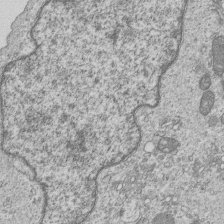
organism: Human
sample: MDA-MB-231 cells